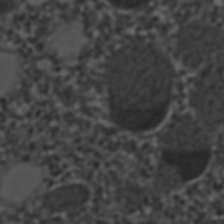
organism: C. elegans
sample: C. elegans embryo